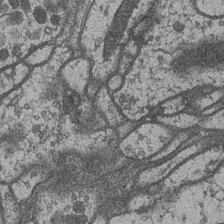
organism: Drosophila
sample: Optic medulla